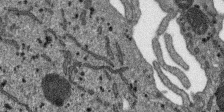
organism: Human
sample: Lung epithelial cells infected with SARS-CoV-2